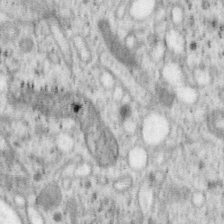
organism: Mouse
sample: OT-I killer T cells with ID8 ovarian cancer cells